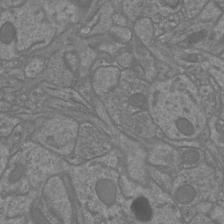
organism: Mouse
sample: Cortical neurons